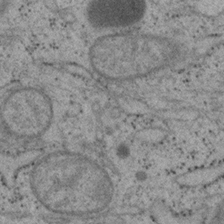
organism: Human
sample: HeLa cells